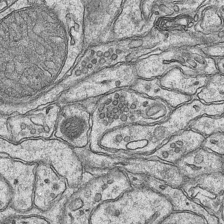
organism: Mouse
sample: CA1 Hippocampus